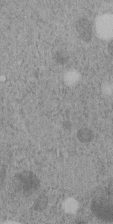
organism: C. elegans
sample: C. elegans embryo early stage